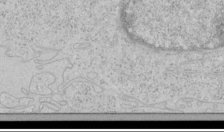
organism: Human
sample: Mitochondria in HCT116 cells